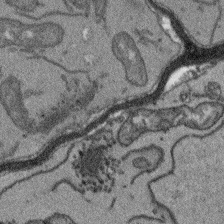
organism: Arabidopsis thaliana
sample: Root tip